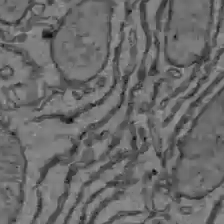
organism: C57BL Mouse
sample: Liver